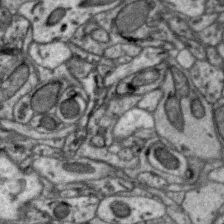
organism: Zebra finch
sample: Brain